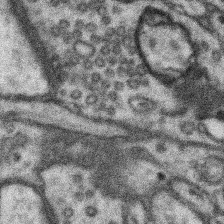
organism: Mouse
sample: Somatosensory cortex neuropil